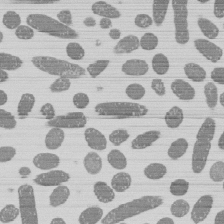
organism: E. coli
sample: Bacterial nucleoid